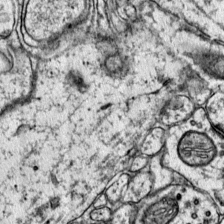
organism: Mouse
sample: Primary visual cortex